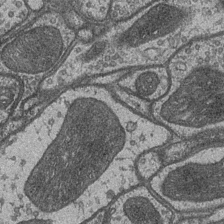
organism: Drosophila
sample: Optic medulla